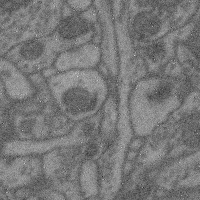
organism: Mouse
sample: Cerebral cortex